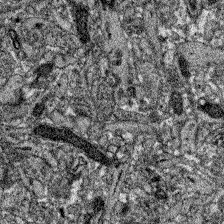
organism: Zebrafish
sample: Larval olfactory bulb